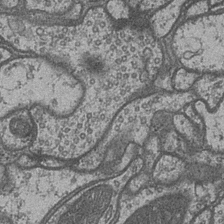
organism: Drosophila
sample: Optic medulla